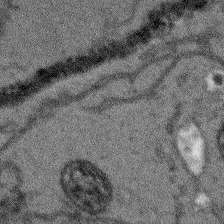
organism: Arabidopsis thaliana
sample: Root tip